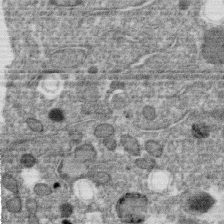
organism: C. elegans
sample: C. elegans oocyte; sperm cells